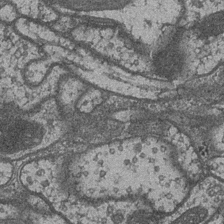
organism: Drosophila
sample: Optic medulla